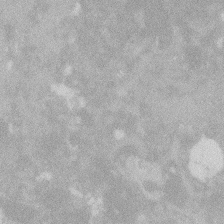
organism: Zebrafish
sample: Macrophage